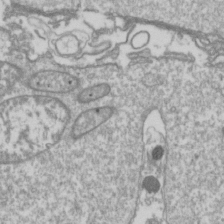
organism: Drosophila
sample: Cell division; meiosis; drosophila spermatocytes